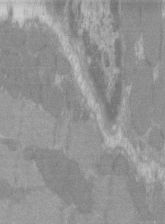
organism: C57BL Mouse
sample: Tibialis anterior muscle cell